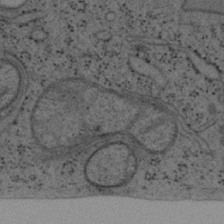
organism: Human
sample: HeLa cells